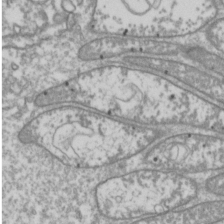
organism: Drosophila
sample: Cell division; meiosis; drosophila spermatocytes